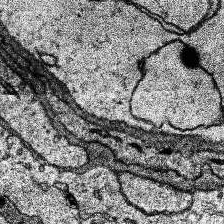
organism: Human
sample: Temporal Lobe